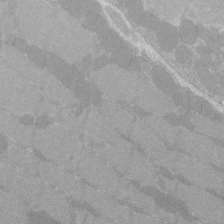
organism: C57BL Mouse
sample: Tibialis anterior muscle cell